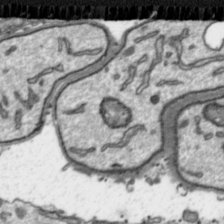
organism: Toxoplasma gondii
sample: Parasites in a vacuole inside a host cell